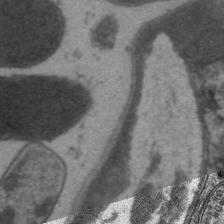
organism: C. elegans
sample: Pharynx